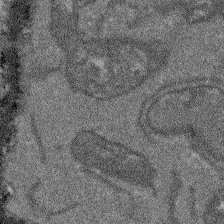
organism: Arabidopsis thaliana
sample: Root tip